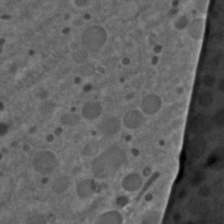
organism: C. elegans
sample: C. elegans embryo